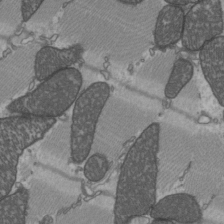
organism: C57BL Mouse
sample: Heart